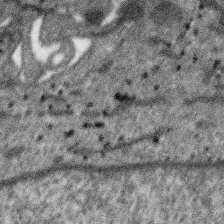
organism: Human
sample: Lung epithelial cells infected with SARS-CoV-2